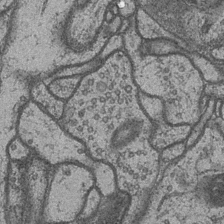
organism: Drosophila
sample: Optic medulla